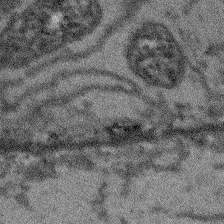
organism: Arabidopsis thaliana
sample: Root tip